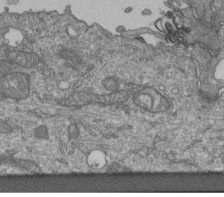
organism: Human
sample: Retinal organoid Rod and Cone cells